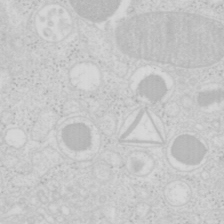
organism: Mouse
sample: Pancreas